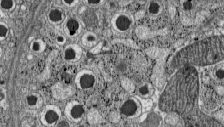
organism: C57BL Mouse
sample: Pancreatic islet